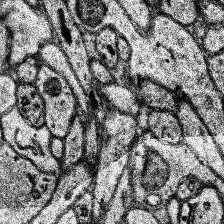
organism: Human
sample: Temporal Lobe